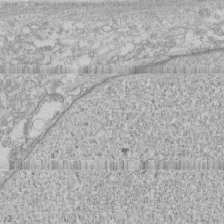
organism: Human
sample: CRL-1474